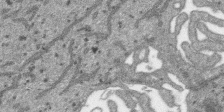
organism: Human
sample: Lung epithelial cells infected with SARS-CoV-2